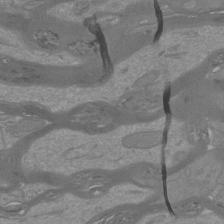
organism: Mouse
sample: Cortical neurons